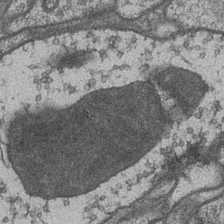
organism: Drosophila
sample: Optic medulla